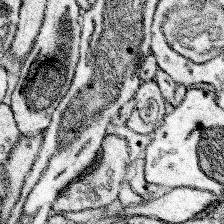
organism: Mouse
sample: Somatosensory cortex neuropil